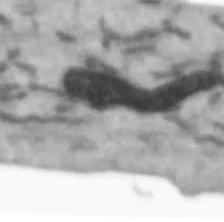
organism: Human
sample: SH-SY5Y cells